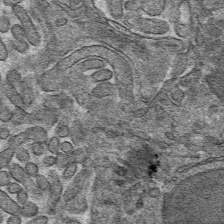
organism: Mouse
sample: Mouse hepatocytes